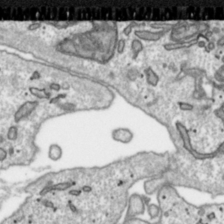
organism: Toxoplasma gondii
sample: Parasites in a vacuole inside a host cell